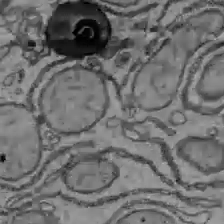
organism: C57BL Mouse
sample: Liver